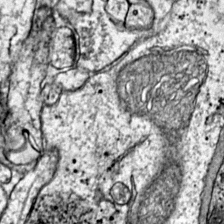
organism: Mouse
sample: Primary visual cortex